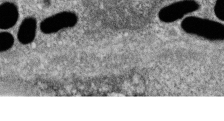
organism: Zebrafish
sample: Cilia; retinal pigment epithelium